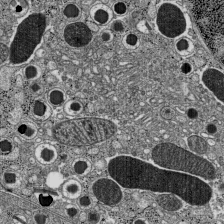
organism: C57BL Mouse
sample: Pancreatic islet